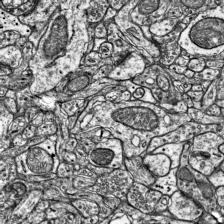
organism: Mouse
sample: Visual Cortex